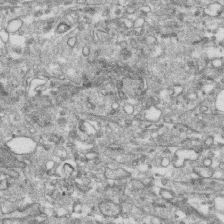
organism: Human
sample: CRL-1474